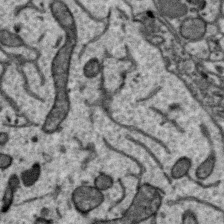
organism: Zebra finch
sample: Brain